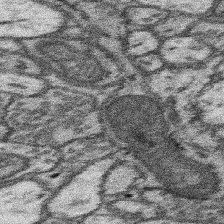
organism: Mouse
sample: Somatosensory cortex neuropil